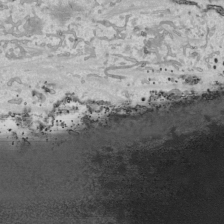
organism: Human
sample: Mitochondria in HCT116 cells